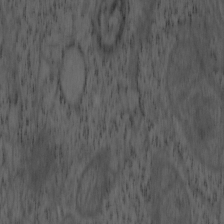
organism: Human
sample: HeLa cells